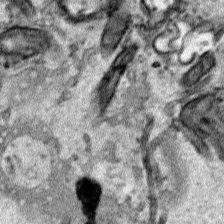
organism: Human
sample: Mitochondria in HCT116 cells